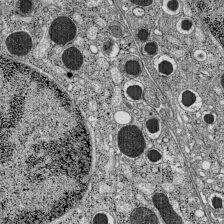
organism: C57BL Mouse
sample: Pancreatic islet